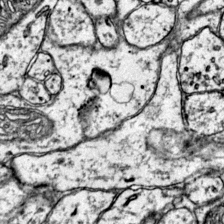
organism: Mouse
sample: Primary visual cortex